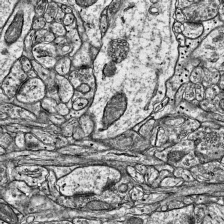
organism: Mouse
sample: Visual Cortex